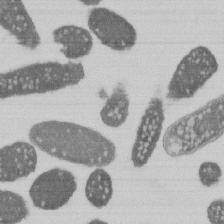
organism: E. coli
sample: Bacterial nucleoid